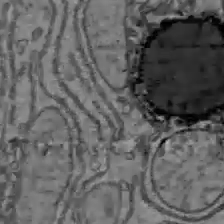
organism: C57BL Mouse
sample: Liver